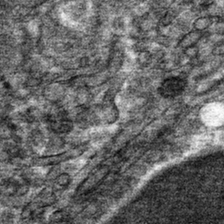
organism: Mouse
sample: Mouse hepatocytes